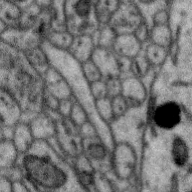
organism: Zebra finch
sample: Brain